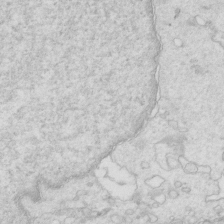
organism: Mouse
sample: Multiciliated cells